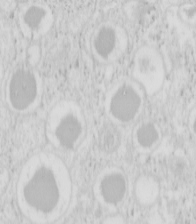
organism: Mouse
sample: Pancreas